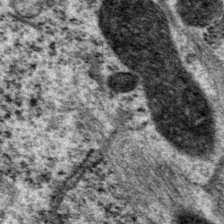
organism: P. pacificus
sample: Pharynx